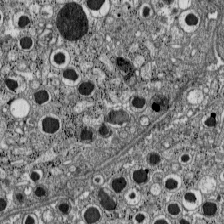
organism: C57BL Mouse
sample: Pancreatic islet